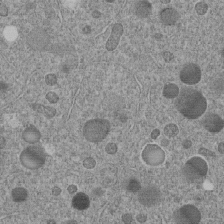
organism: C. elegans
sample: C. elegans embryo early stage